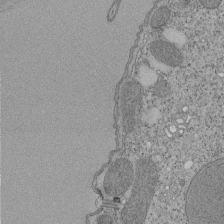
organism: Tetrahymena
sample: Cilia in tetrahymena